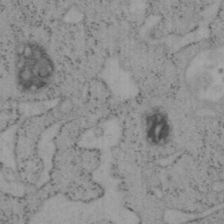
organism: Mouse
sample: OT-I killer T cells with ID8 ovarian cancer cells